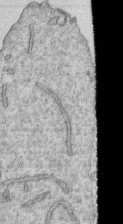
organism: Human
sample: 1205lu cells